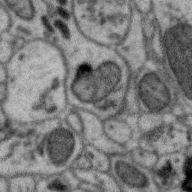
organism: Zebra finch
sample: Brain